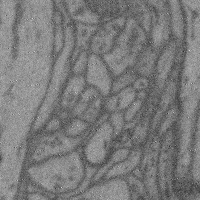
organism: Mouse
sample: Cerebral cortex